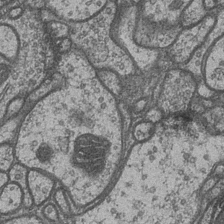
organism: Drosophila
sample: Optic medulla